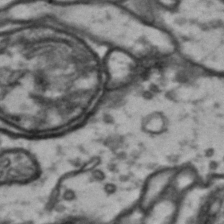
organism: Drosophila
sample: Brain